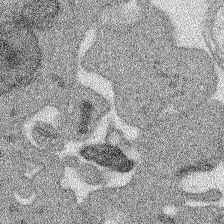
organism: Human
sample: HeLa cells